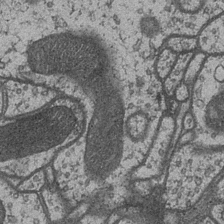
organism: Drosophila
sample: Optic medulla